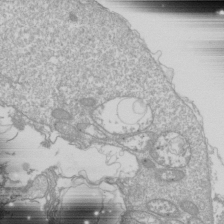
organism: Drosophila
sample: Cell division; meiosis; drosophila spermatocytes